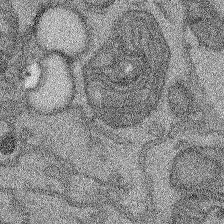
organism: Human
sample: HeLa cells